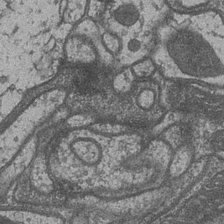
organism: Drosophila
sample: Optic medulla